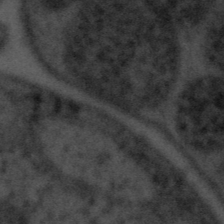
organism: Tuwongella immobilis